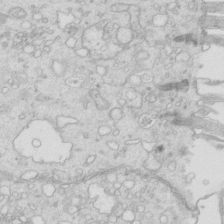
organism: Mouse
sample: Multiciliated cells